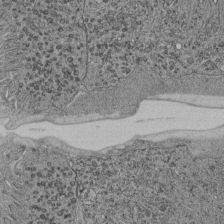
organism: C. elegans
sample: C. elegans pharynx